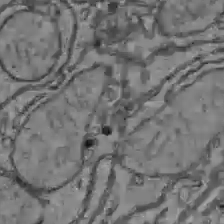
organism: C57BL Mouse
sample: Liver